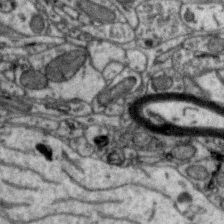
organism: Zebra finch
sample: Brain